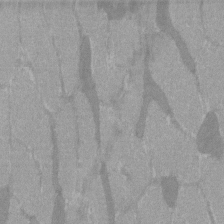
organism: C57BL Mouse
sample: Tibialis anterior muscle cell